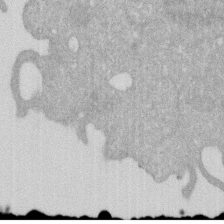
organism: Human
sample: HIV infected U937 cells